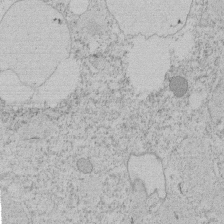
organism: Tetrahymena